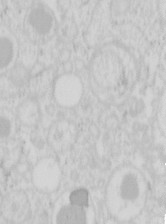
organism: Mouse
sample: Pancreas